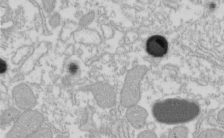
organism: Xenopus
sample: Cilia; centrioles in frog embryo cells